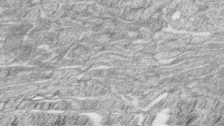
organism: Zebrafish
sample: synaptic ribbons in rod cells and cone cells